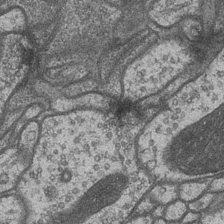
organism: Drosophila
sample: Optic medulla